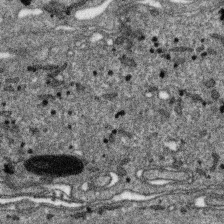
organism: Human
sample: Lung epithelial cells infected with SARS-CoV-2